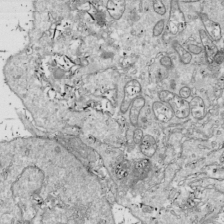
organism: Drosophila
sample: Cell division; meiosis; drosophila spermatocytes